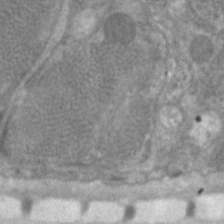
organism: C. elegans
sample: Pharynx